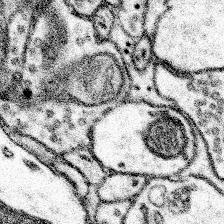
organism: Mouse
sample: Somatosensory cortex neuropil